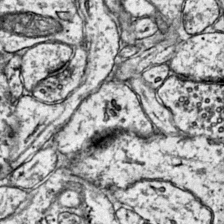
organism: Mouse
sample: Primary visual cortex